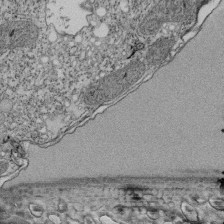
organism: Tetrahymena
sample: Cilia in tetrahymena